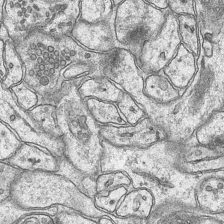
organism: Mouse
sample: CA1 Hippocampus